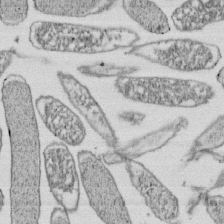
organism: E. coli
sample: Bacterial nucleoid